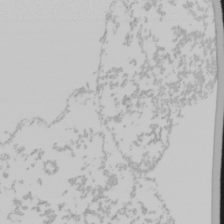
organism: Mouse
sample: Cancer cell death in ED-1 cells